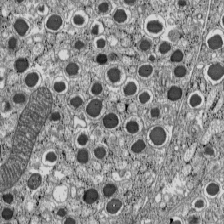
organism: C57BL Mouse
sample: Pancreatic islet